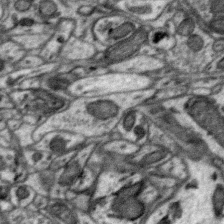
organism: Zebra finch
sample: Brain